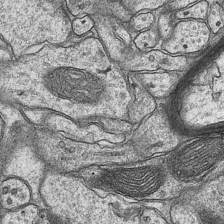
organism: Mouse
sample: CA1 Hippocampus